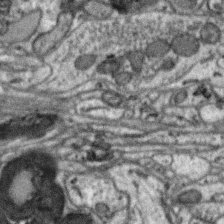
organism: Zebra finch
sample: Brain